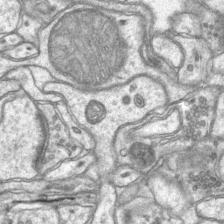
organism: Mouse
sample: CA1 Hippocampus